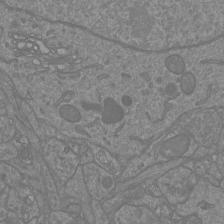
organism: Mouse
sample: Cortical neurons